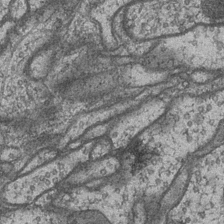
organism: Drosophila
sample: Optic medulla